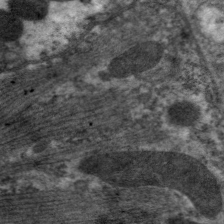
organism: C. elegans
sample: Pharynx